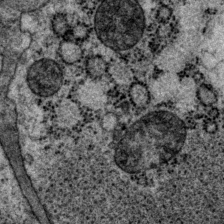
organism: P. pacificus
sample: Pharynx